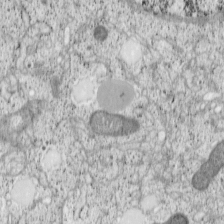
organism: African green monkey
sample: COS-7 cells